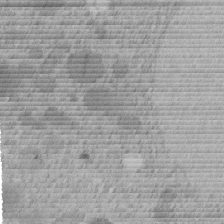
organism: C. elegans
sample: C. elegans embryo early stage